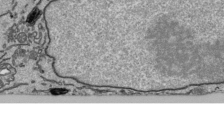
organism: Human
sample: Mitochondria in HCT116 cells